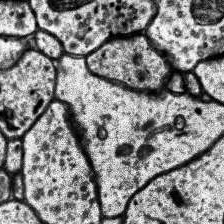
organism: Human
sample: Temporal Lobe